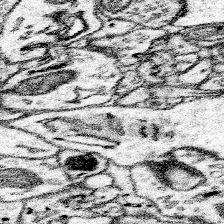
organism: Mouse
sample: Somatosensory cortex neuropil